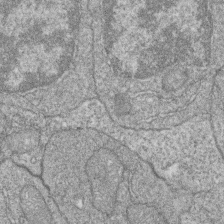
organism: Zebrafish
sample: Cilia; retinal pigment epithelium